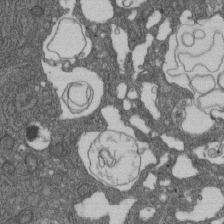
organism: Drosophila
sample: Nephrocyte